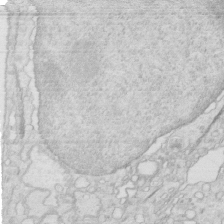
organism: Mouse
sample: Multiciliated cells